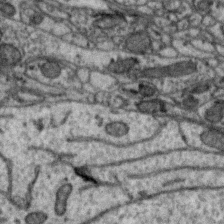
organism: Zebra finch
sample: Brain